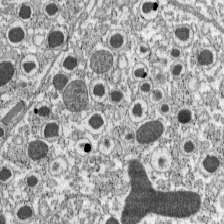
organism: C57BL Mouse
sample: Pancreatic islet